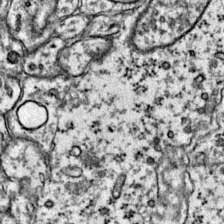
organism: Mouse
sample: Primary visual cortex